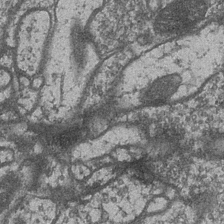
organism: Drosophila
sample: Optic medulla